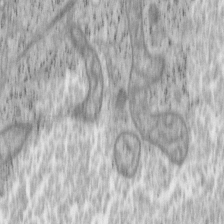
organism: Human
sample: HeLa cells